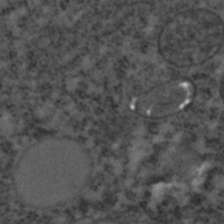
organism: C. elegans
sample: C. elegans embryo